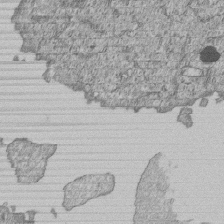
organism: Human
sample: MDA-MB-231 cells